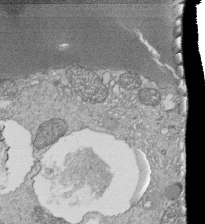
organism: Tetrahymena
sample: Cilia in tetrahymena